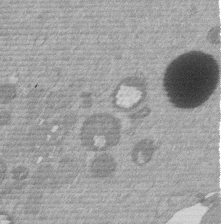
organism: Mouse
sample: Dividing mouse embryo 1 cell stage